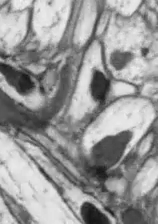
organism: Drosophila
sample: Optic lobe